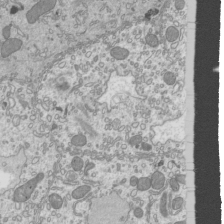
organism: Mouse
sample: Cilia; mouse epididymis